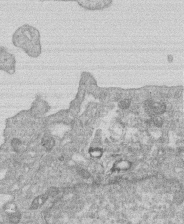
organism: Human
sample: Macrophage cells